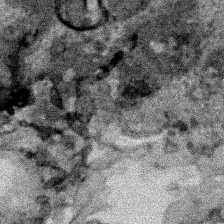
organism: Human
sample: Mitochondria in HCT116 cells